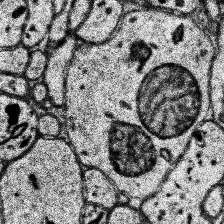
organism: Human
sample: Temporal Lobe